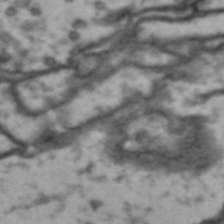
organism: Drosophila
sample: Brain